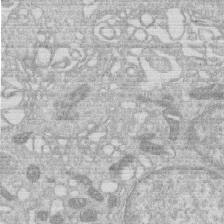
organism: Human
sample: Macrophage cells